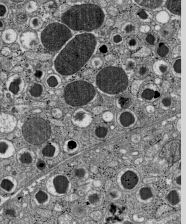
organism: C57BL Mouse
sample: Pancreatic islet